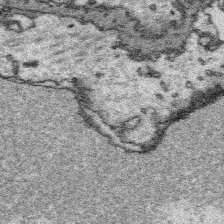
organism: Platynereis dumerilii